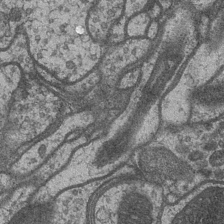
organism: Drosophila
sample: Optic medulla